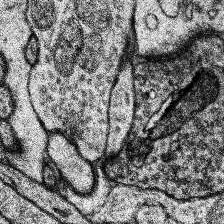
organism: Human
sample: Temporal Lobe